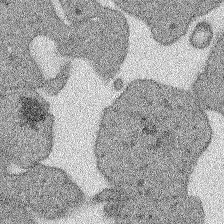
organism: Human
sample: HeLa cells